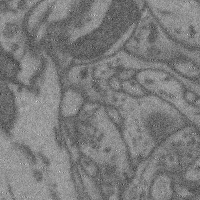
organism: Mouse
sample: Cerebral cortex